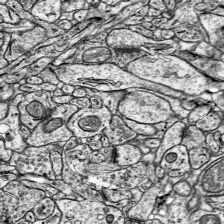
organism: Mouse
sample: Visual Cortex